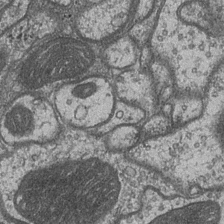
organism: Drosophila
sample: Optic medulla